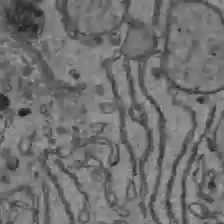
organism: C57BL Mouse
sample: Liver